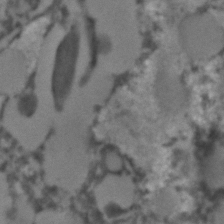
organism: C. elegans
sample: C. elegans embryo